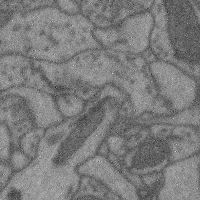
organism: Mouse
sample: Cerebral cortex